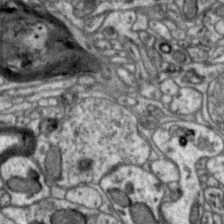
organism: Zebra finch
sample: Brain